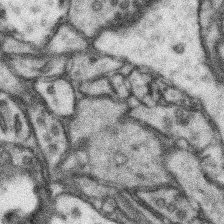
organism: Mouse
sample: Somatosensory cortex neuropil